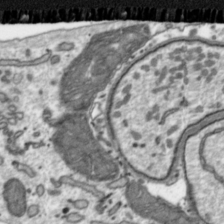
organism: Toxoplasma gondii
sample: Parasites in a vacuole inside a host cell